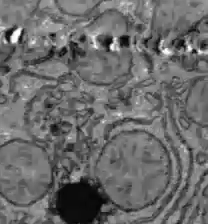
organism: C57BL Mouse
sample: Liver